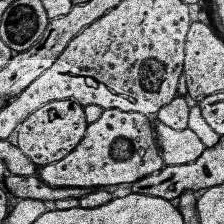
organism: Human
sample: Temporal Lobe